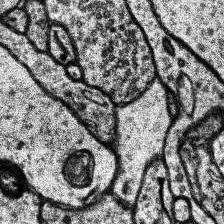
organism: Human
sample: Temporal Lobe